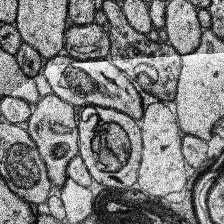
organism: Human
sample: Temporal Lobe